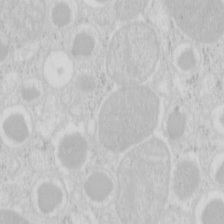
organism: Mouse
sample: Pancreas